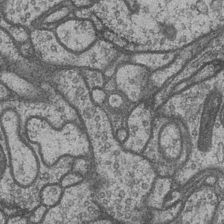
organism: Drosophila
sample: Optic medulla